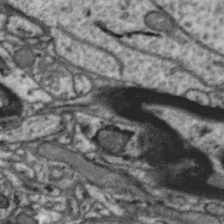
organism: Zebra finch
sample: Brain